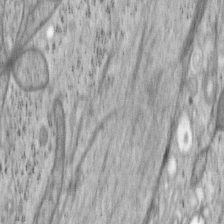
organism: Human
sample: HeLa cells